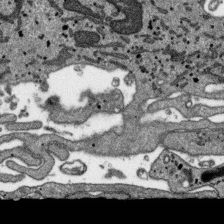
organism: Human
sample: Lung epithelial cells, uninfected (mock) control